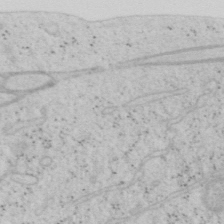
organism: Human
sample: HeLa cells